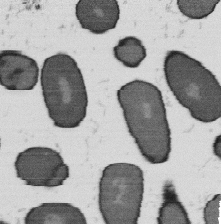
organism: B. subtilis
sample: Bacterial spore